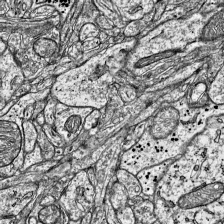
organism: Mouse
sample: Visual Cortex